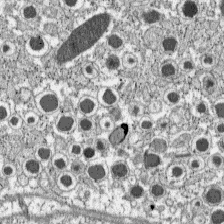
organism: C57BL Mouse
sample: Pancreatic islet